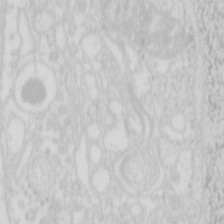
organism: Mouse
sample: Pancreas